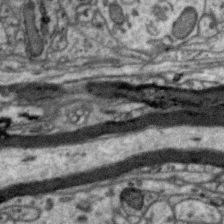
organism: Zebra finch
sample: Brain